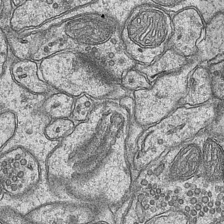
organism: Mouse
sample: CA1 Hippocampus